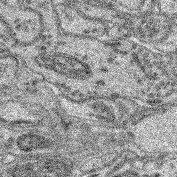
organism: Mouse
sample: Retina